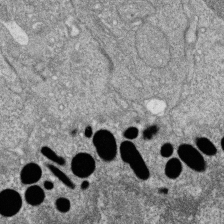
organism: Zebrafish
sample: Cilia; retinal pigment epithelium